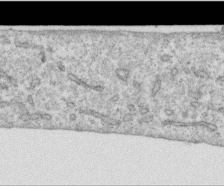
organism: Human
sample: Centriole in RPE cells